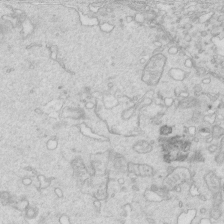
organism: Mouse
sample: Multiciliated cells